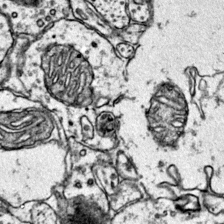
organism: Mouse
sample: Primary visual cortex